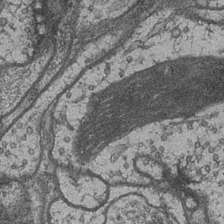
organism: Drosophila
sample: Optic medulla